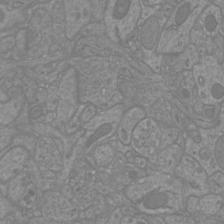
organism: Mouse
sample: Cortical neurons